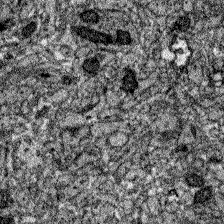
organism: Zebrafish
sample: Larval olfactory bulb